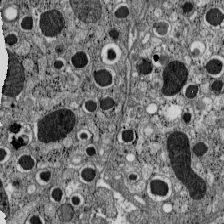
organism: C57BL Mouse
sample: Pancreatic islet